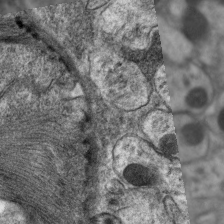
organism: C. elegans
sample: Pharynx